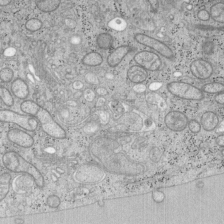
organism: Mouse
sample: OT-I killer T cells with ID8 ovarian cancer cells